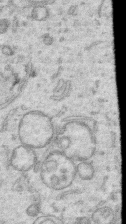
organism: Human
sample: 1205lu cells